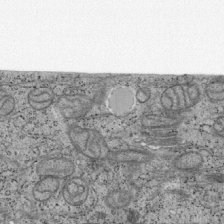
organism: Human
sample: HeLa cells